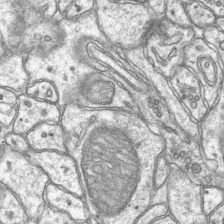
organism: Mouse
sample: CA1 Hippocampus